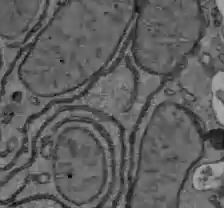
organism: C57BL Mouse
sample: Liver